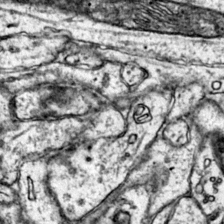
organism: Mouse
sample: Primary visual cortex